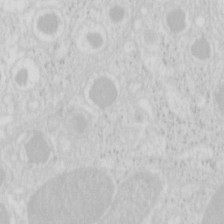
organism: Mouse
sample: Pancreas